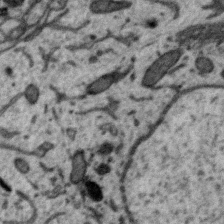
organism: Zebra finch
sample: Brain